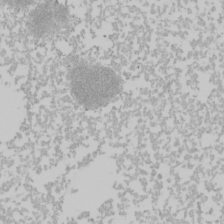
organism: Mouse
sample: Cancer cell death in ED-1 cells